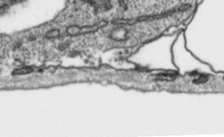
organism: Toxoplasma gondii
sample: Parasites in a vacuole inside a host cell